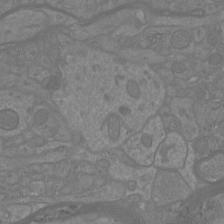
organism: Mouse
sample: Cortical neurons